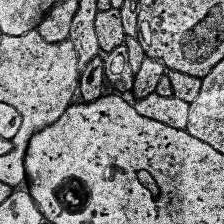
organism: Human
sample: Temporal Lobe